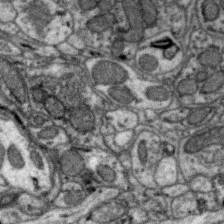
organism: Zebra finch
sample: Brain